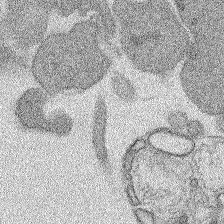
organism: Human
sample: HeLa cells